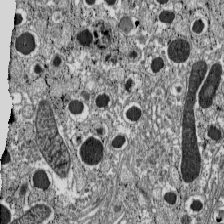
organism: C57BL Mouse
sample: Pancreatic islet